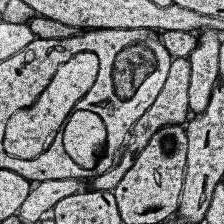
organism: Human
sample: Temporal Lobe